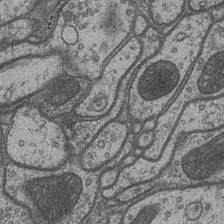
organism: Drosophila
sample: Optic medulla